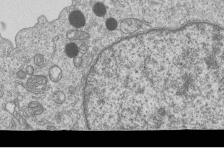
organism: Human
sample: MDA-MB-231 cells